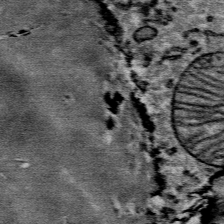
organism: Mouse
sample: Mouse Salivary gland